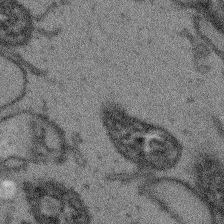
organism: Arabidopsis thaliana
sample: Root tip